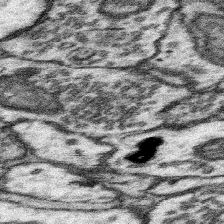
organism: Mouse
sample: Somatosensory cortex neuropil